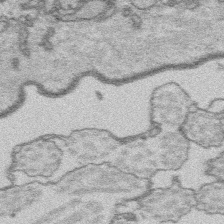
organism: Platynereis dumerilii